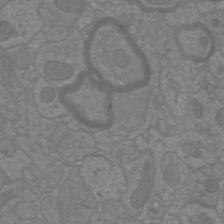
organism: Mouse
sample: Cortical neurons